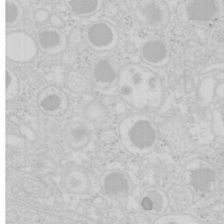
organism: Mouse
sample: Pancreas